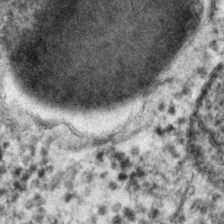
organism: C. elegans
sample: C. elegans embryo